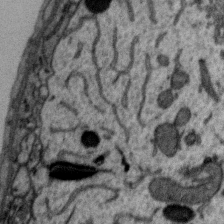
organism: Zebra finch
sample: Brain